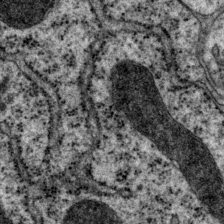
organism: P. pacificus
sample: Pharynx